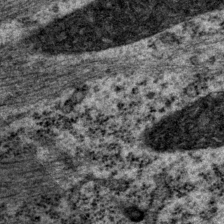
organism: P. pacificus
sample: Pharynx